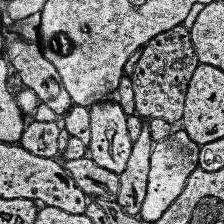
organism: Human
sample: Temporal Lobe